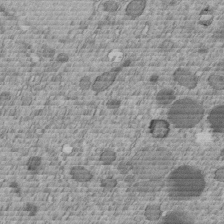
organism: C. elegans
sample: C. elegans embryo early stage